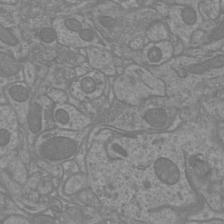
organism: Mouse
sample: Cortical neurons